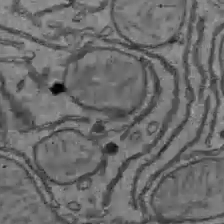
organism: C57BL Mouse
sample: Liver